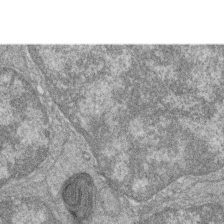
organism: Zebrafish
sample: Cilia; retinal pigment epithelium